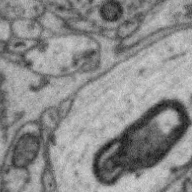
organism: Zebra finch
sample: Brain